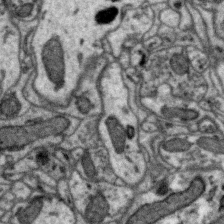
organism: Zebra finch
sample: Brain